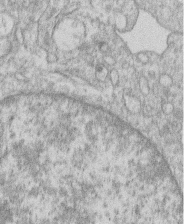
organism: Human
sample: Macrophage cells